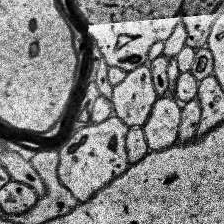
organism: Human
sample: Temporal Lobe